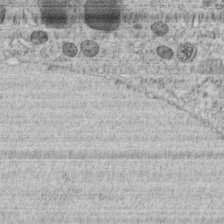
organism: C. elegans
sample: C. elegans embryo early stage